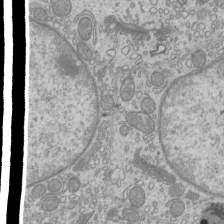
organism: Mouse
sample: Cilia; mouse epididymis